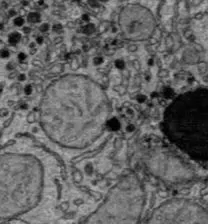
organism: C57BL Mouse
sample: Liver